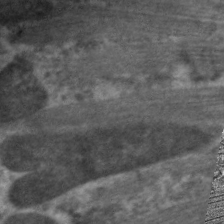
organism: C. elegans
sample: Pharynx